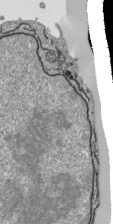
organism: Human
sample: Mitochondria in HCT116 cells